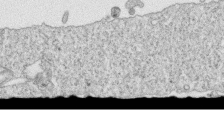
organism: Human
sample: HeLa cell HIV synapse